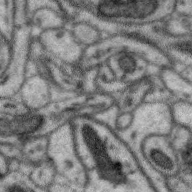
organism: Zebra finch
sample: Brain